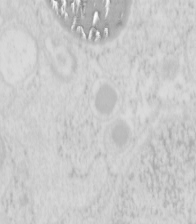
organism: Mouse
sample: Pancreas